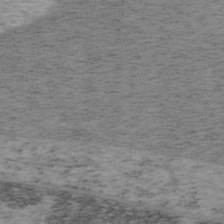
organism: Mouse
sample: OT-I killer T cells with ID8 ovarian cancer cells